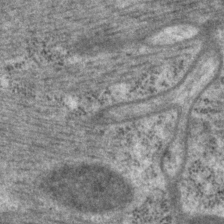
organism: P. pacificus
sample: Pharynx